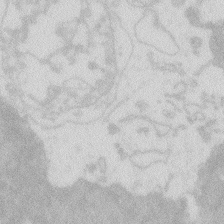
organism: Zebrafish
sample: Macrophage